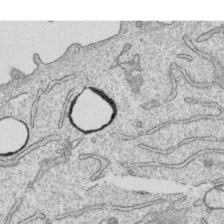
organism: Human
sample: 1205lu cells